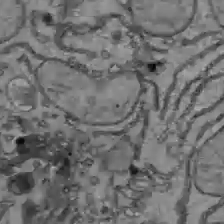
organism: C57BL Mouse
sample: Liver